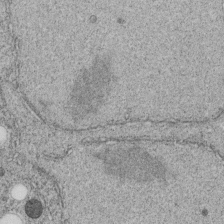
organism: C. elegans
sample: C. elegans embryo early stage